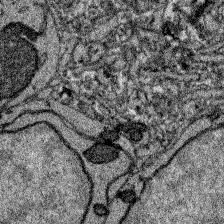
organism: Zebrafish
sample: Larval olfactory bulb